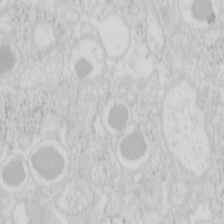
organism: Mouse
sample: Pancreas